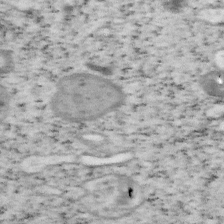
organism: Mouse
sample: OT-I killer T cells with ID8 ovarian cancer cells